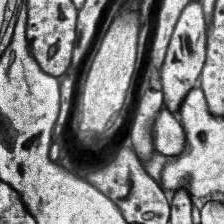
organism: Human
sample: Temporal Lobe